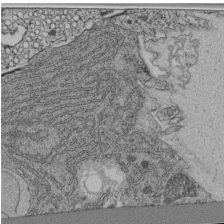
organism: C. elegans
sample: C. elegans pharynx